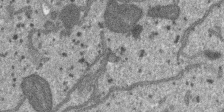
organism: Human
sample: Lung epithelial cells infected with SARS-CoV-2